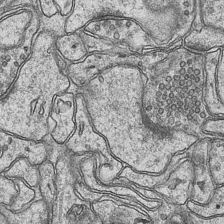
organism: Mouse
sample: CA1 Hippocampus